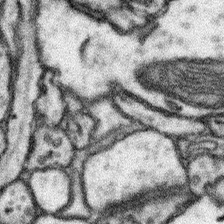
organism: Mouse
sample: Somatosensory cortex neuropil